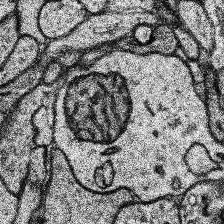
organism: Human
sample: Temporal Lobe